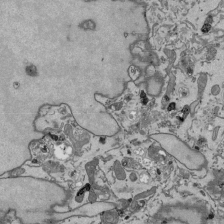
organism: Mouse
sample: ED-1 cell nuclei; centrioles